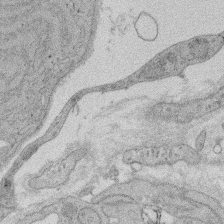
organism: Rat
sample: Salivary granule